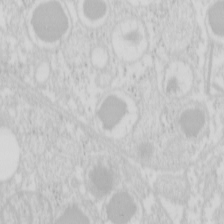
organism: Mouse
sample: Pancreas